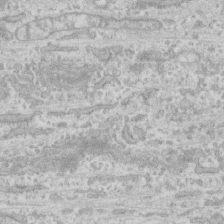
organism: Human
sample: CRL-1474